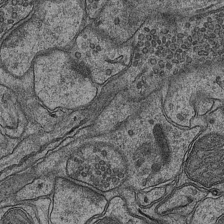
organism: Mouse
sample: CA1 Hippocampus